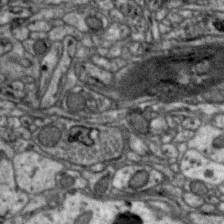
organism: Zebra finch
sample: Brain